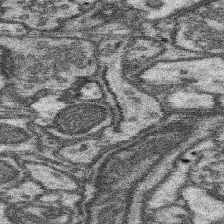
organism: Mouse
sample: Somatosensory cortex neuropil